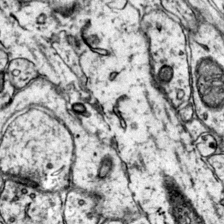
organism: Mouse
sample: Primary visual cortex